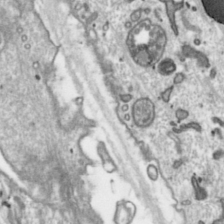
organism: Toxoplasma gondii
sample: Parasites in a vacuole inside a host cell